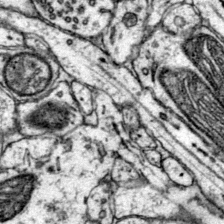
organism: Mouse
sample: Primary visual cortex